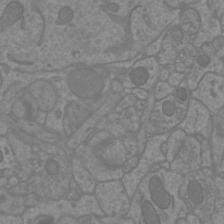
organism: Mouse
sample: Cortical neurons